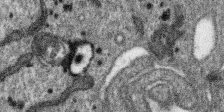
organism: Human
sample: Lung epithelial cells infected with SARS-CoV-2